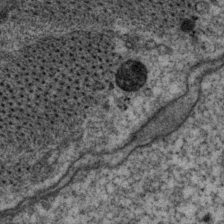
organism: P. pacificus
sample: Pharynx